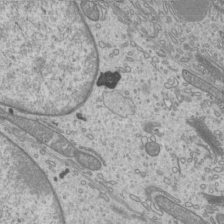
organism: Mouse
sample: Cilia; mouse epididymis